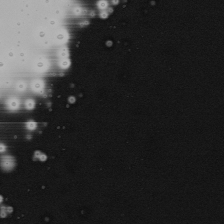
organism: Mouse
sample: Cancer cell death in ED-1 cells